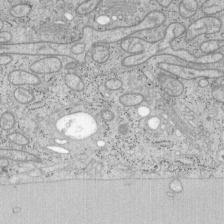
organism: Mouse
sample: OT-I killer T cells with ID8 ovarian cancer cells